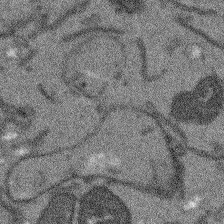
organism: Arabidopsis thaliana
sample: Root tip